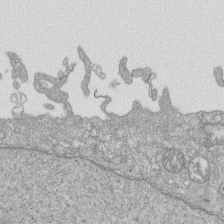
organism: Human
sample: HeLa cell HIV synapse